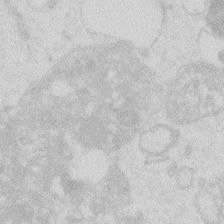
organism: Zebrafish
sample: Macrophage